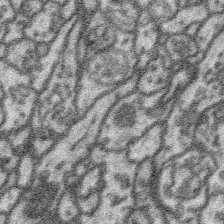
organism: Platynereis dumerilii